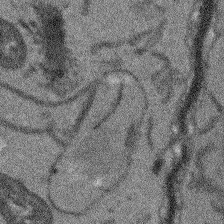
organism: Arabidopsis thaliana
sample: Root tip